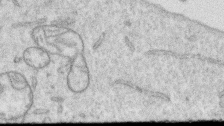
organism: Human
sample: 1205lu cells